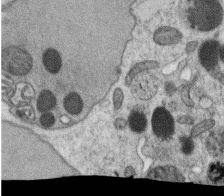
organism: C. elegans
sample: C. elegans oocyte; sperm cells